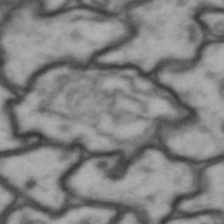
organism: Drosophila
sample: Brain